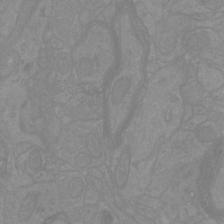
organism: Mouse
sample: Cortical neurons